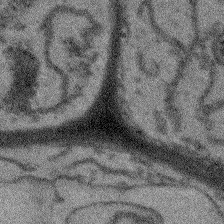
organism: Arabidopsis thaliana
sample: Root tip